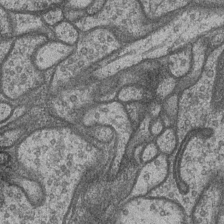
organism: Drosophila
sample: Optic medulla